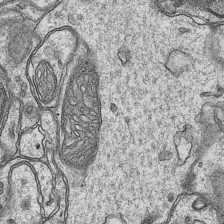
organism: Mouse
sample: CA1 Hippocampus